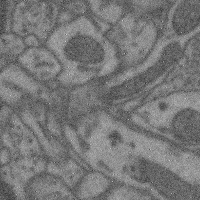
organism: Mouse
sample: Cerebral cortex